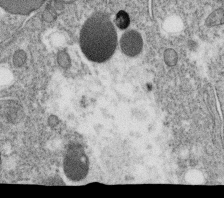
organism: C. elegans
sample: C. elegans oocyte; sperm cells